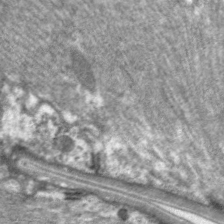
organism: C. elegans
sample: Pharynx